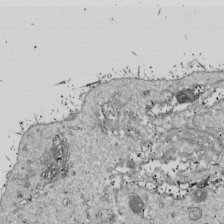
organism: Drosophila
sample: Cell division; meiosis; drosophila spermatocytes